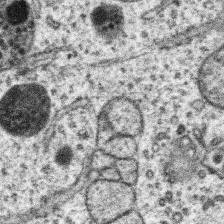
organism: Human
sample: HeLa cells